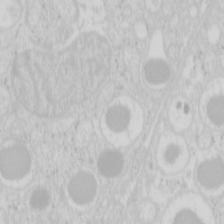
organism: Mouse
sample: Pancreas